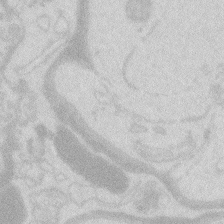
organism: Zebrafish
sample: Macrophage